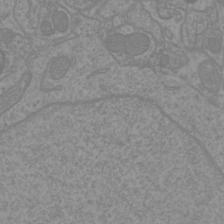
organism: Mouse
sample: Cortical neurons